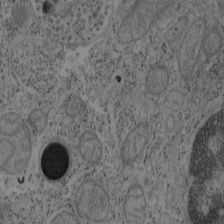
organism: Mouse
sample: OT-I killer T cells with ID8 ovarian cancer cells